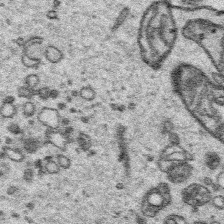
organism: Platynereis dumerilii